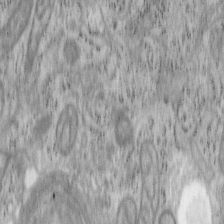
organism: Human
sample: HeLa cells